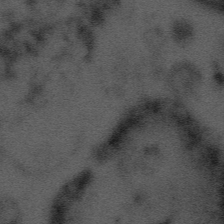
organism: Tuwongella immobilis